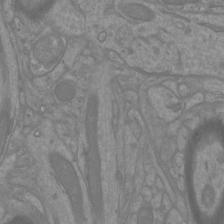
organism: Mouse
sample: Cortical neurons